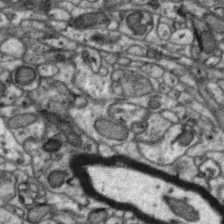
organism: Zebra finch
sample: Brain